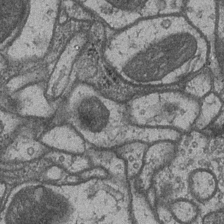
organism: Drosophila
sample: Optic medulla